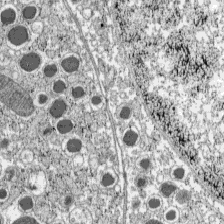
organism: C57BL Mouse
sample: Pancreatic islet